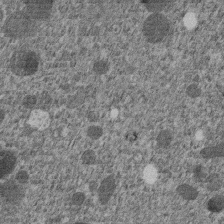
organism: C. elegans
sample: C. elegans embryo early stage